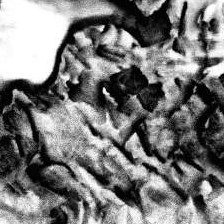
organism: Human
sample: Temporal Lobe